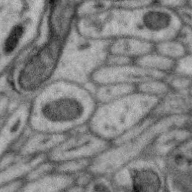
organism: Zebra finch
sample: Brain